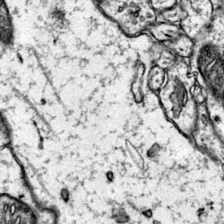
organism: Mouse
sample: Primary visual cortex